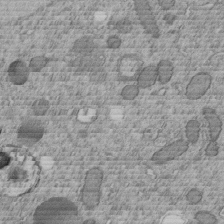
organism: C. elegans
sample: C. elegans embryo early stage